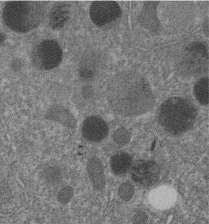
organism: C. elegans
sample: C. elegans embryo early stage